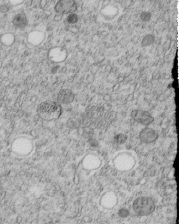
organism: C. elegans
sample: C. elegans embryo early stage